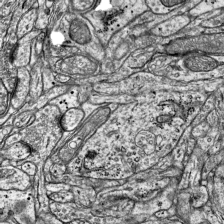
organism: Mouse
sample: Visual Cortex